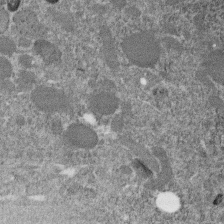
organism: C. elegans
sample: C. elegans embryo early stage